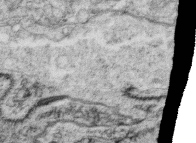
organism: C. elegans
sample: C. elegans oocyte; sperm cells